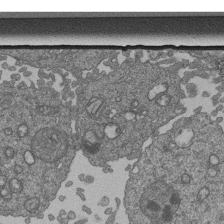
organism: Human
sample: Retinal organoid Rod and Cone cells